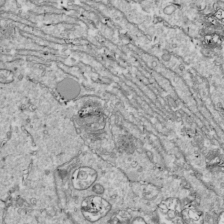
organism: Drosophila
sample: Cell division; meiosis; drosophila spermatocytes